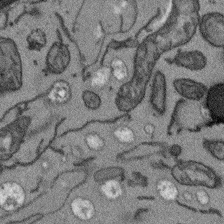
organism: Arabidopsis thaliana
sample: Root tip